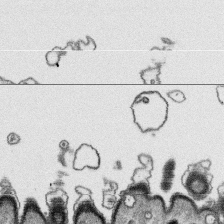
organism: Platynereis dumerilii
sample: Parapodia